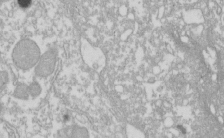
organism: Xenopus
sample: Cilia; centrioles in frog embryo cells